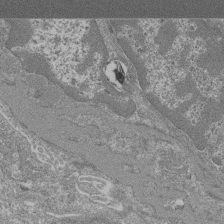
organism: Mouse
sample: Glomerulus